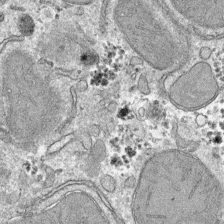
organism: Mouse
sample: Mouse hepatocytes